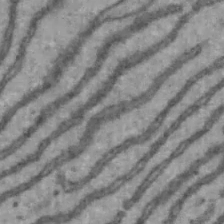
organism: Mouse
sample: Liver